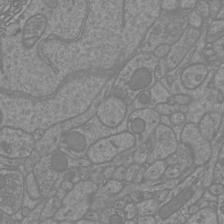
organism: Mouse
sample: Cortical neurons